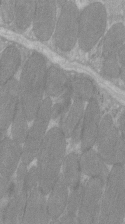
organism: C57BL Mouse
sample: Tibialis anterior muscle cell